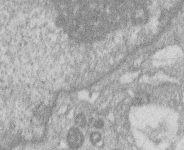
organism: Human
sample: Macrophage cells